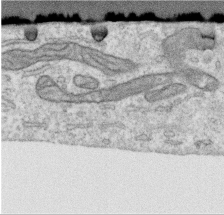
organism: Human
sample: Centriole in RPE cells